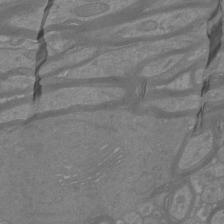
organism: Mouse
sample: Cortical neurons